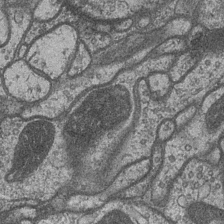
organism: Drosophila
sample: Optic medulla